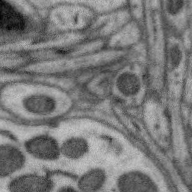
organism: Zebra finch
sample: Brain